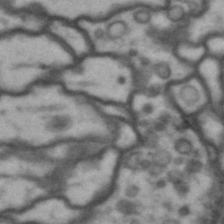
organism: Drosophila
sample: Brain